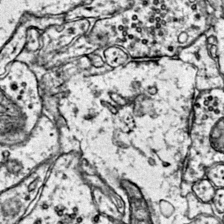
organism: Mouse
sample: Primary visual cortex